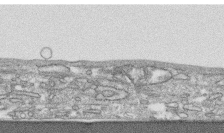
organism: Human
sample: CRL-1474